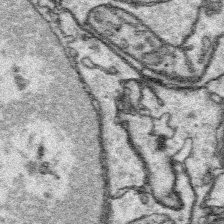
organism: Platynereis dumerilii